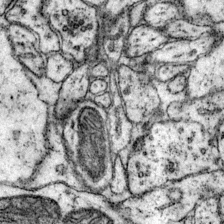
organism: Mouse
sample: Primary visual cortex